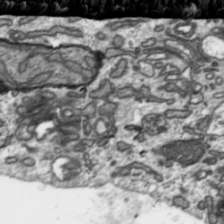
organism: Toxoplasma gondii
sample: Parasites in a vacuole inside a host cell